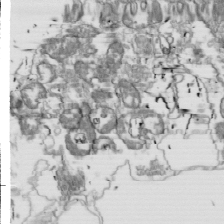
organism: Drosophila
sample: Cell division; meiosis; drosophila spermatocytes